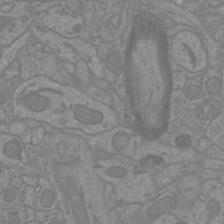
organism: Mouse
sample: Cortical neurons